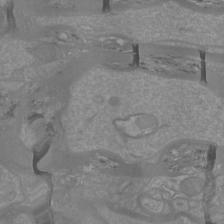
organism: Mouse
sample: Cortical neurons